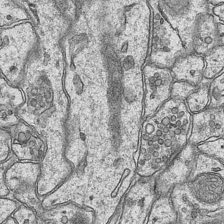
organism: Mouse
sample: CA1 Hippocampus